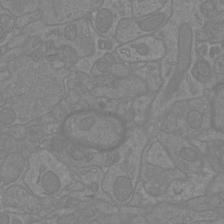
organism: Mouse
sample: Cortical neurons